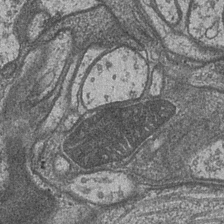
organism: Drosophila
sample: Optic medulla